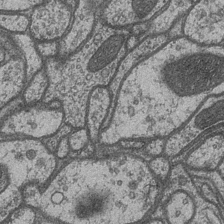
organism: Drosophila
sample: Optic medulla